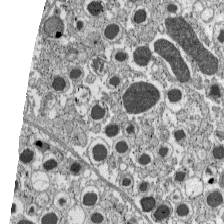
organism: C57BL Mouse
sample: Pancreatic islet